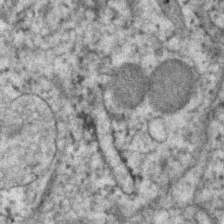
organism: Human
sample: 1205lu cells